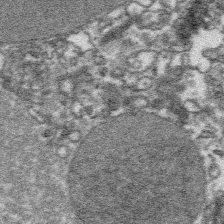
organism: Platynereis dumerilii